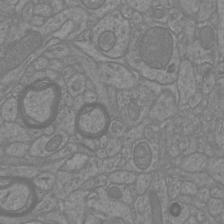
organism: Mouse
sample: Cortical neurons